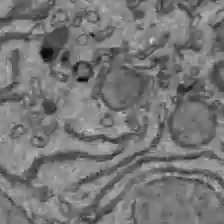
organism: C57BL Mouse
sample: Liver